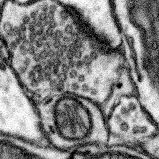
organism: Mouse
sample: Somatosensory cortex neuropil